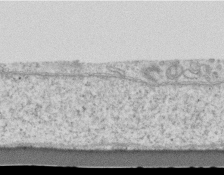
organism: Mouse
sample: Centriole in ependymal cells